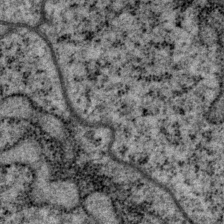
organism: P. pacificus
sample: Pharynx